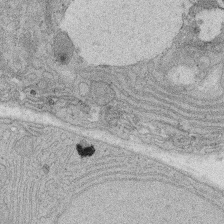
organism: Rat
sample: Salivary granule